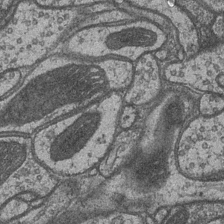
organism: Drosophila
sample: Optic medulla